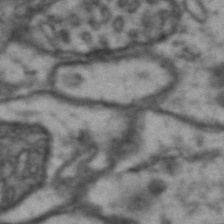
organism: Drosophila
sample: Brain